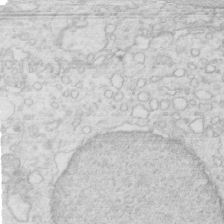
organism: Mouse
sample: Multiciliated cells